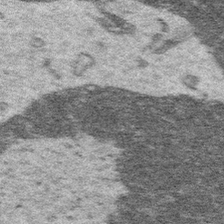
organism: Platynereis dumerilii